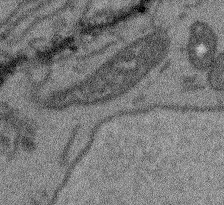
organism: Arabidopsis thaliana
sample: Root tip